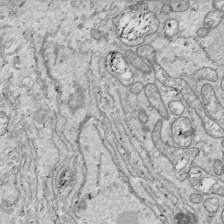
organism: Drosophila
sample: Cell division; meiosis; drosophila spermatocytes